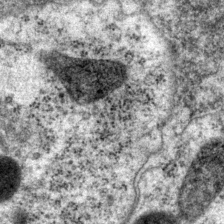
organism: P. pacificus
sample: Pharynx